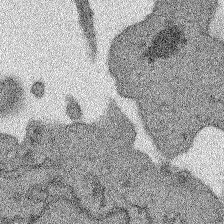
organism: Human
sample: HeLa cells